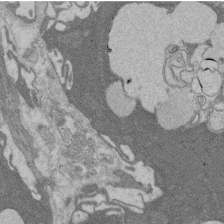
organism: Rat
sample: Salivary granule